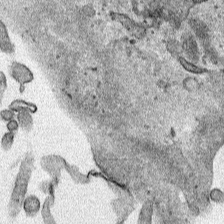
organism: Human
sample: Mitochondria in HCT116 cells